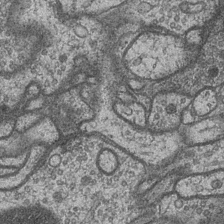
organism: Drosophila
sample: Optic medulla